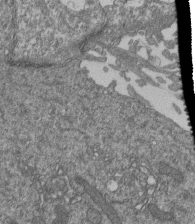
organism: Human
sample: Retinal organoid Rod and Cone cells